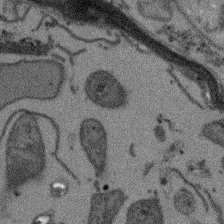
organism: Arabidopsis thaliana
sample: Root tip